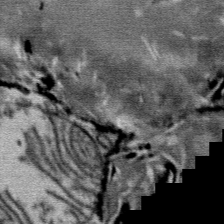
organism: Mouse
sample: Mouse Salivary gland